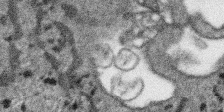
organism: Human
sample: Lung epithelial cells infected with SARS-CoV-2